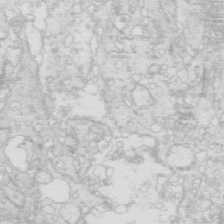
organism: Mouse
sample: Multiciliated cells